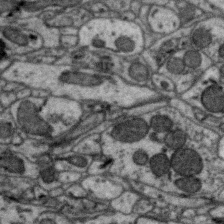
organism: Zebra finch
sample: Brain